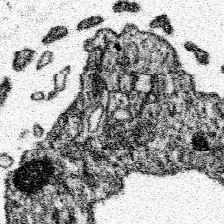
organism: Spongilla lacustris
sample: Neuroid cell